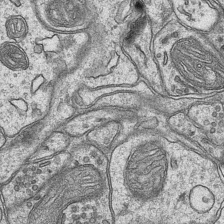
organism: Mouse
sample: CA1 Hippocampus